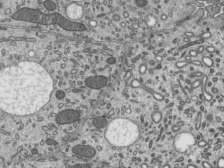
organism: Mouse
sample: Mouse epididymis efferent ductule cilia